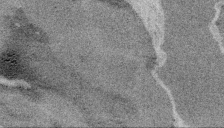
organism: Embia sp.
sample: Silk gland